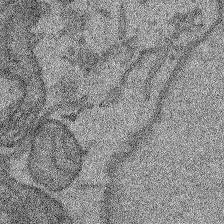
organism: Human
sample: HeLa cells